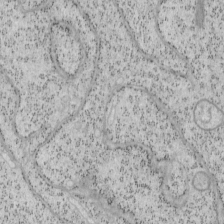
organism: Mouse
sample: OT-I killer T cells with ID8 ovarian cancer cells